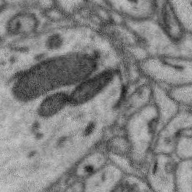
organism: Zebra finch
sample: Brain